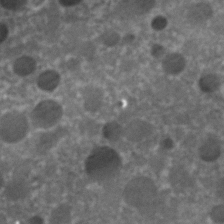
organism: C. elegans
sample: C. elegans embryo